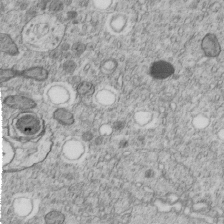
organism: C. elegans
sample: C. elegans embryo early stage